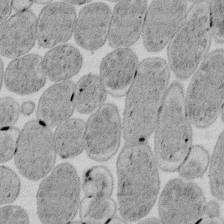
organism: E. coli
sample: Bacterial nucleoid